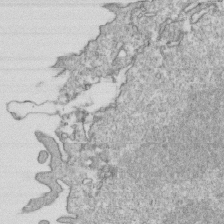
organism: Mouse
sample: Activated OT-1 CD8+ T cells